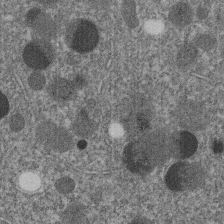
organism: C. elegans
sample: C. elegans embryo early stage